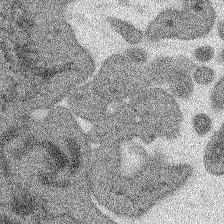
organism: Human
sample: HeLa cells